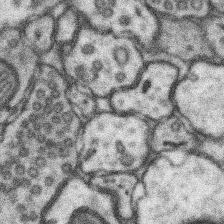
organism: Mouse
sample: Somatosensory cortex neuropil